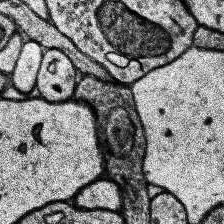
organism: Human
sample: Temporal Lobe